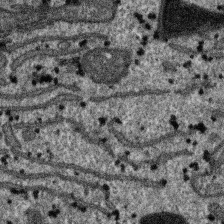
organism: Human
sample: Lung epithelial cells infected with SARS-CoV-2